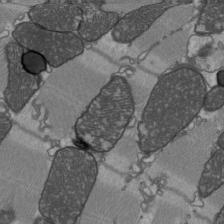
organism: C57BL Mouse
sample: Heart